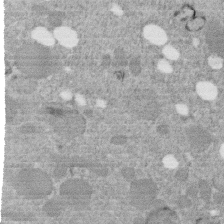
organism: C. elegans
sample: C. elegans embryo early stage